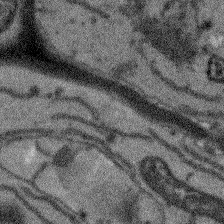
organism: Arabidopsis thaliana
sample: Root tip